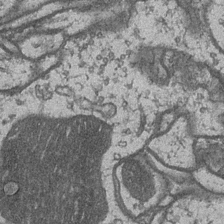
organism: Drosophila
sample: Optic medulla